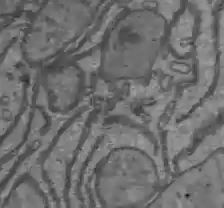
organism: C57BL Mouse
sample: Liver